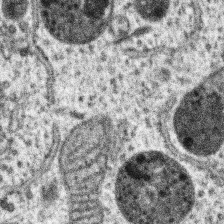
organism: Human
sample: HeLa cells